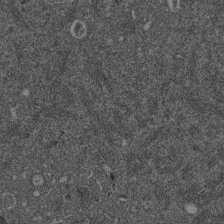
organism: Mouse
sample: Dividing mouse embryo 1 cell stage